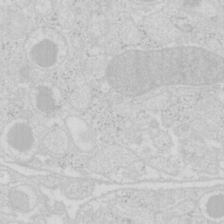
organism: Mouse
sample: Pancreas